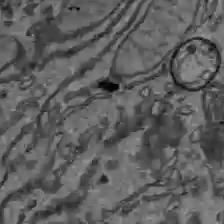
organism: C57BL Mouse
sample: Liver